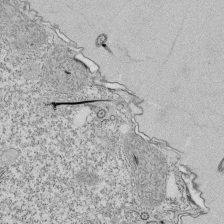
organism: Tetrahymena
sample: Cilia in tetrahymena